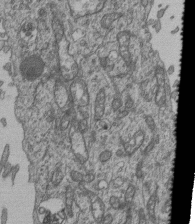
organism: Human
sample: Retinal organoid Rod and Cone cells